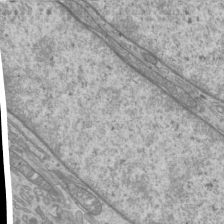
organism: Mouse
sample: Cilia; mouse epididymis